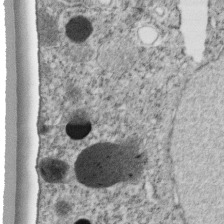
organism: C. elegans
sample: C. elegans embryo early stage